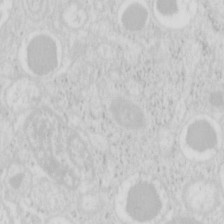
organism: Mouse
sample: Pancreas